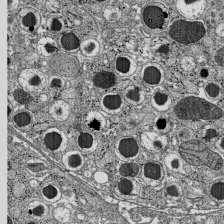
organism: C57BL Mouse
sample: Pancreatic islet